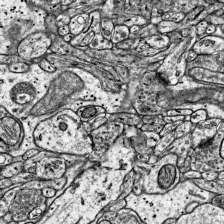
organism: Mouse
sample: Visual Cortex